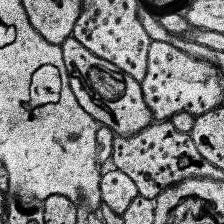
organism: Human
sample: Temporal Lobe